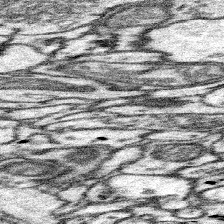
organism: Mouse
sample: Somatosensory cortex neuropil